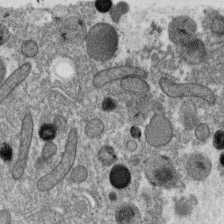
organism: C. elegans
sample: C. elegans oocyte; sperm cells